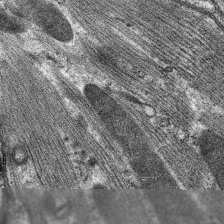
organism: C. elegans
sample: Pharynx